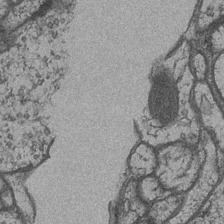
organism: Drosophila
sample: Optic medulla